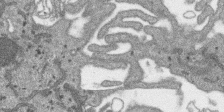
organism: Human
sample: Lung epithelial cells infected with SARS-CoV-2